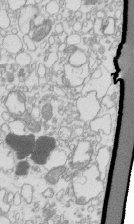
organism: Mouse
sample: Macrophages